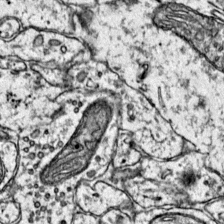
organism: Mouse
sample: Primary visual cortex